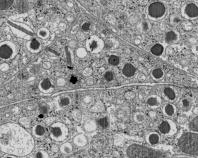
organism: C57BL Mouse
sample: Pancreatic islet